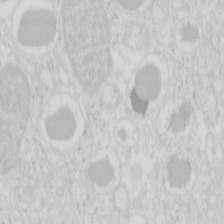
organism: Mouse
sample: Pancreas